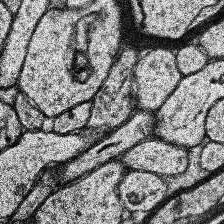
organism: Human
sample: Temporal Lobe